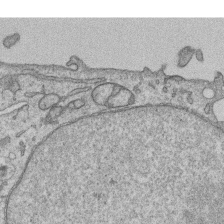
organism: Human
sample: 1205lu cells